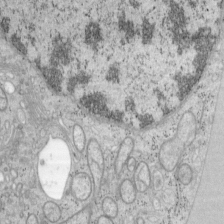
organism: Mouse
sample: OT-I killer T cells with ID8 ovarian cancer cells